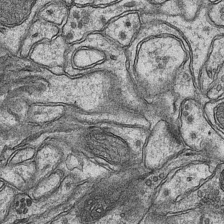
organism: Mouse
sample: CA1 Hippocampus